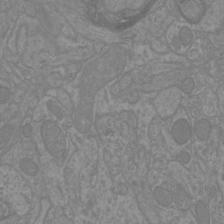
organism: Mouse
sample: Cortical neurons